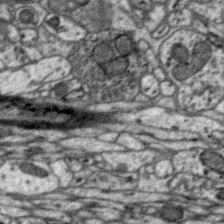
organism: Zebra finch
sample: Brain